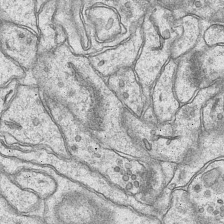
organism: Mouse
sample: CA1 Hippocampus